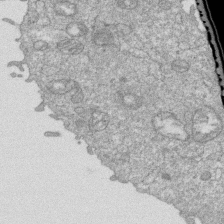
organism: Human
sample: HeLa cell HIV synapse